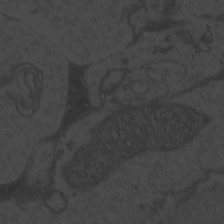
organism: Zebrafish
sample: Macrophage infected with Toxoplasma gondii